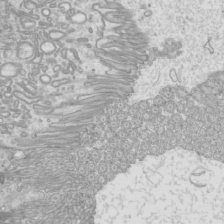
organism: Mouse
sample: Cilia; mouse epididymis